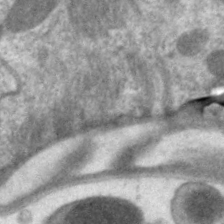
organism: C. elegans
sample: Pharynx